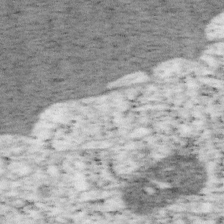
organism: Mouse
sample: OT-I killer T cells with ID8 ovarian cancer cells